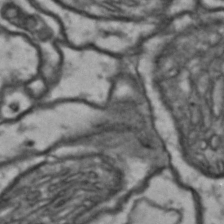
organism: Drosophila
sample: Brain